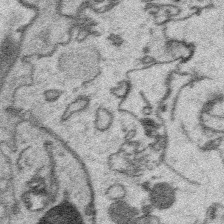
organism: Platynereis dumerilii